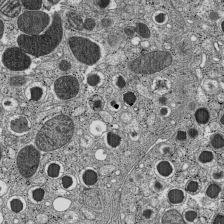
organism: C57BL Mouse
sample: Pancreatic islet